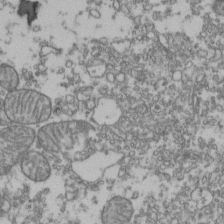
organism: Human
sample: Activated Jurkat CD4+ T cells